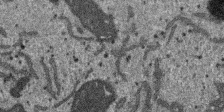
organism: Human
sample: Lung epithelial cells infected with SARS-CoV-2